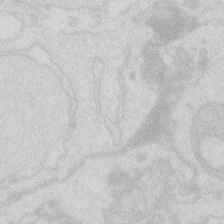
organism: Zebrafish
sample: Macrophage